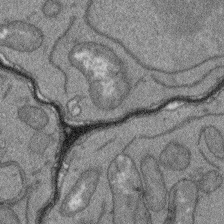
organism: Arabidopsis thaliana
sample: Root tip